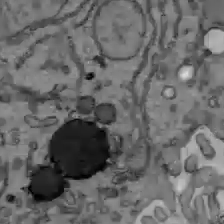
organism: C57BL Mouse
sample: Liver